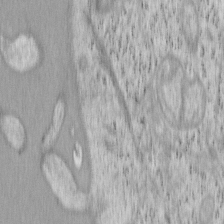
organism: Human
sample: HeLa cells